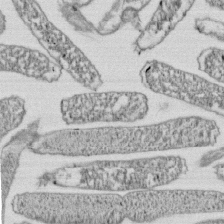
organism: E. coli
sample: Bacterial nucleoid